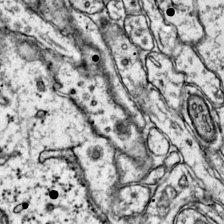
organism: Mouse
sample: Primary visual cortex